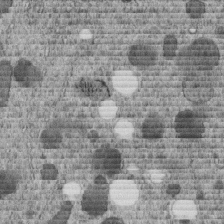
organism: C. elegans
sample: C. elegans embryo early stage